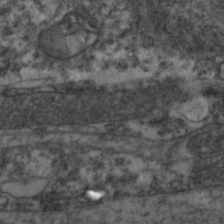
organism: Zebrafish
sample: Zebrafish embryo